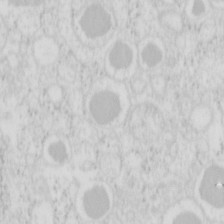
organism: Mouse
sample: Pancreas